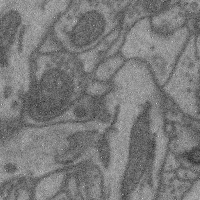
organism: Mouse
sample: Cerebral cortex